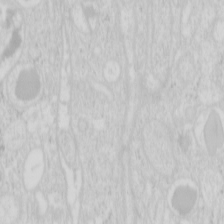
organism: Mouse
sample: Pancreas